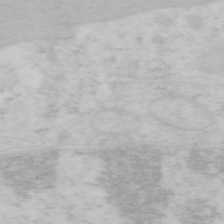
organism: Mouse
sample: OT-I killer T cells with ID8 ovarian cancer cells